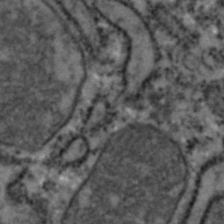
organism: Zebrafish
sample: Zebrafish embryo